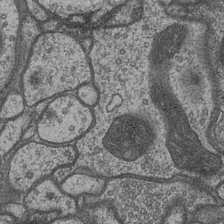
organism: Drosophila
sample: Optic medulla